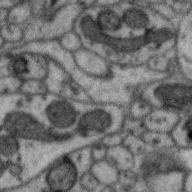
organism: Zebra finch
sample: Brain